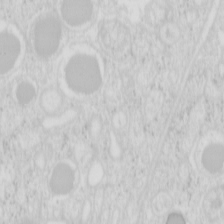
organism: Mouse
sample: Pancreas